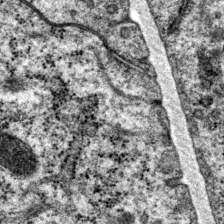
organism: P. pacificus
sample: Pharynx